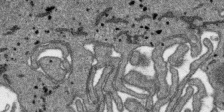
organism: Human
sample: Lung epithelial cells, uninfected (mock) control